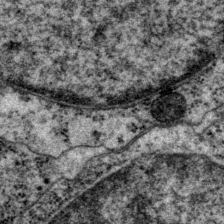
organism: P. pacificus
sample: Pharynx